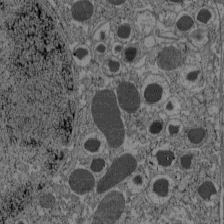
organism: C57BL Mouse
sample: Pancreatic islet